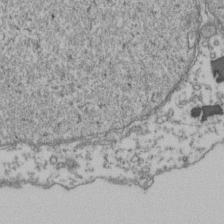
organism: Human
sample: Activated Jurkat CD4+ T cells